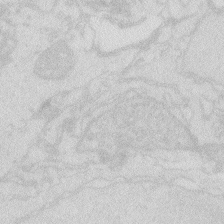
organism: Zebrafish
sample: Macrophage